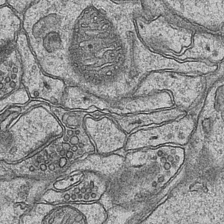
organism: Mouse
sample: CA1 Hippocampus